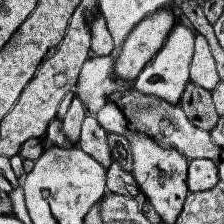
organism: Human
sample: Temporal Lobe